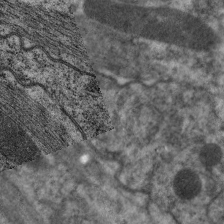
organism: C. elegans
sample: Pharynx